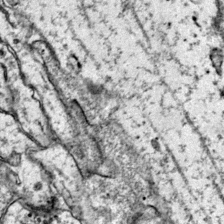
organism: Mouse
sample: Primary visual cortex